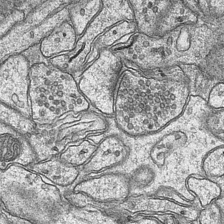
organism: Mouse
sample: CA1 Hippocampus